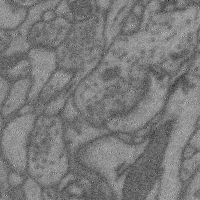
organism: Mouse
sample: Cerebral cortex